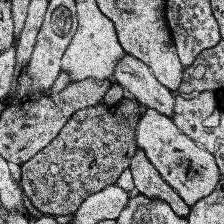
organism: Human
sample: Temporal Lobe